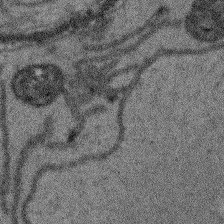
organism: Arabidopsis thaliana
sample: Root tip